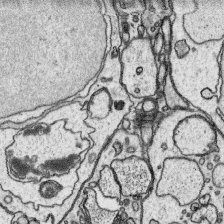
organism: Platynereis dumerilii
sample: Parapodia